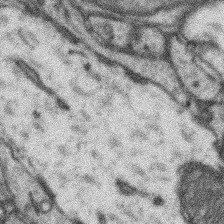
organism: Mouse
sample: Somatosensory cortex neuropil